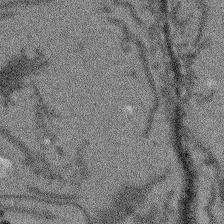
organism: Arabidopsis thaliana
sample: Root tip